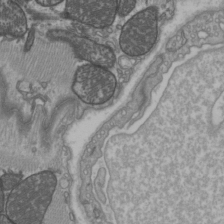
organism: C57BL Mouse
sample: Heart